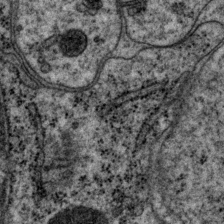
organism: P. pacificus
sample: Pharynx